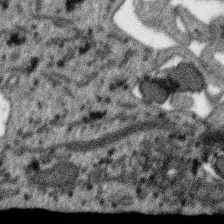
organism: Human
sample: Lung epithelial cells infected with SARS-CoV-2